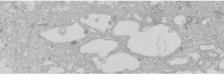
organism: Human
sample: Caco-2 cells